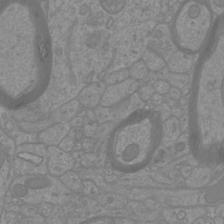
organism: Mouse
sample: Cortical neurons